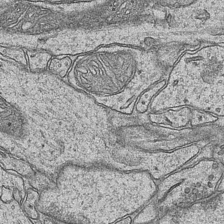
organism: Mouse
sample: CA1 Hippocampus